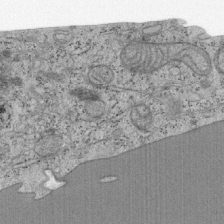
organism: Human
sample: HeLa cells